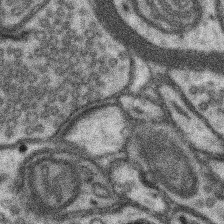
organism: Mouse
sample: Somatosensory cortex neuropil